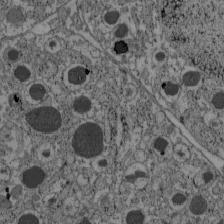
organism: C57BL Mouse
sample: Pancreatic islet